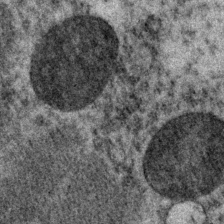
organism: P. pacificus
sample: Pharynx